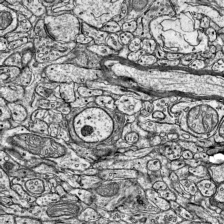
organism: Mouse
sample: Visual Cortex